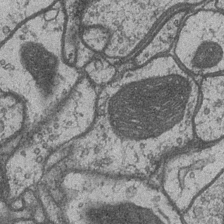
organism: Drosophila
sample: Optic medulla